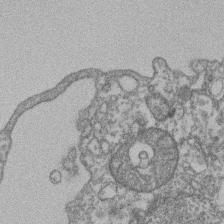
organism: Mouse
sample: T cell stromal cell synapse